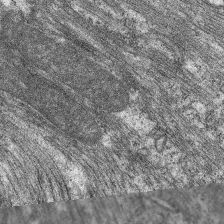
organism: C. elegans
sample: Pharynx